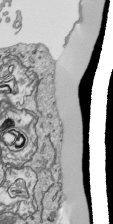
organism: Human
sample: Mitochondria in HCT116 cells